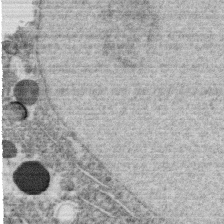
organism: C. elegans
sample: C. elegans oocyte; sperm cells